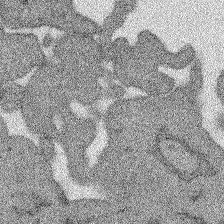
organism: Human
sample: HeLa cells